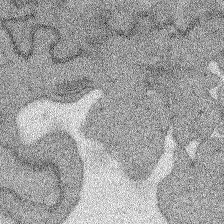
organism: Human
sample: HeLa cells